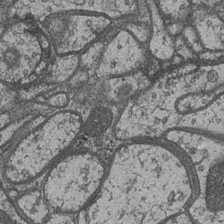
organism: Drosophila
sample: Optic medulla